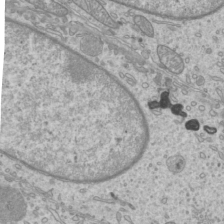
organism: Mouse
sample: Cilia; mouse epididymis